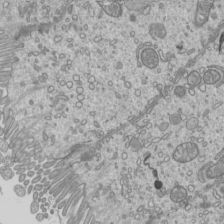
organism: Mouse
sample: Cilia; mouse epididymis